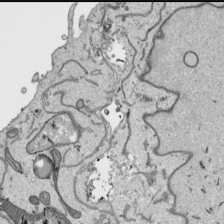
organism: Human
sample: Mitochondria in HCT116 cells